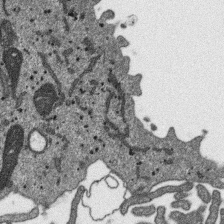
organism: Human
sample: Lung epithelial cells infected with SARS-CoV-2